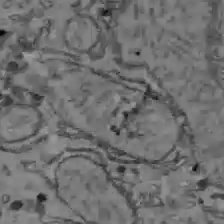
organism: C57BL Mouse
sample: Liver